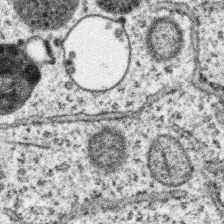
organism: Human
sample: HeLa cells